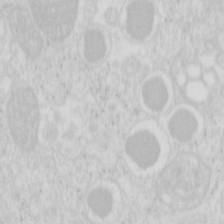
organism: Mouse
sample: Pancreas